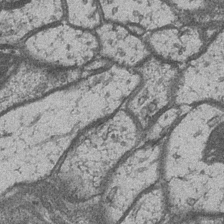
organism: Drosophila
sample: Optic medulla